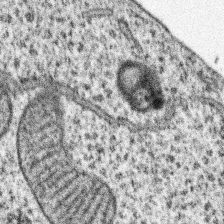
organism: Human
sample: HeLa cells